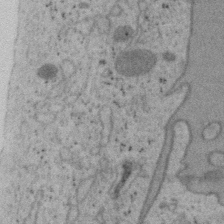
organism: Human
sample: HeLa cells